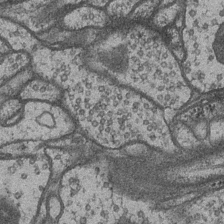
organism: Drosophila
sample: Optic medulla